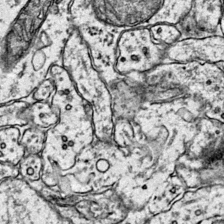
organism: Mouse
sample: Primary visual cortex